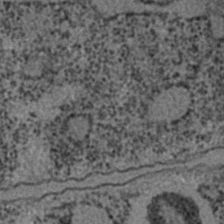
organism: C. elegans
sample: C. elegans embryo